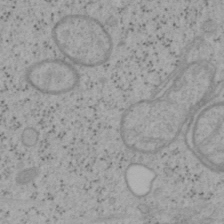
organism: Human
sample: HeLa cells